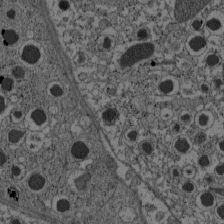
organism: C57BL Mouse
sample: Pancreatic islet